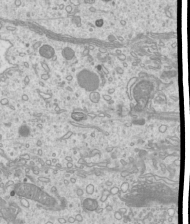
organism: Mouse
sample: Cilia; mouse epididymis